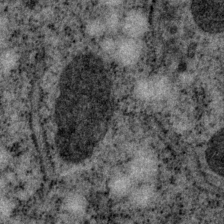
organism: P. pacificus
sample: Pharynx